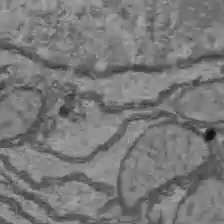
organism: C57BL Mouse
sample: Liver